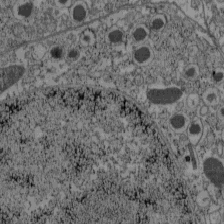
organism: C57BL Mouse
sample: Pancreatic islet